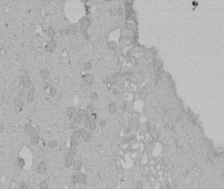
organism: Human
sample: Melanocyte Keratinocyte synapse skin construct